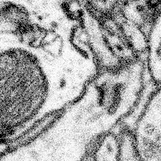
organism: Mouse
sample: Somatosensory cortex neuropil